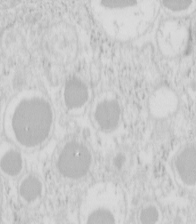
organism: Mouse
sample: Pancreas